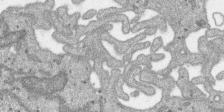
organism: Human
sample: Lung epithelial cells infected with SARS-CoV-2